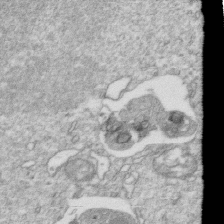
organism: Mouse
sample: Activated OT-1 CD8+ T cells